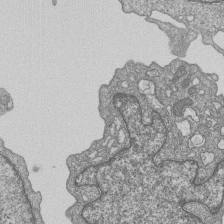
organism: Human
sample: MDA-MB-231 cells